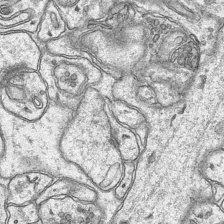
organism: Mouse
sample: CA1 Hippocampus